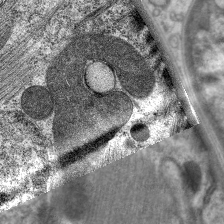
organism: C. elegans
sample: Pharynx